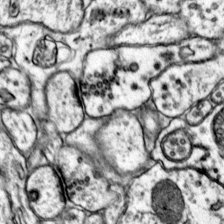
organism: Mouse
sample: Primary visual cortex